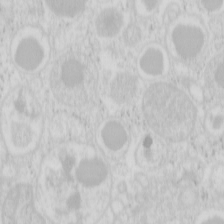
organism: Mouse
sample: Pancreas